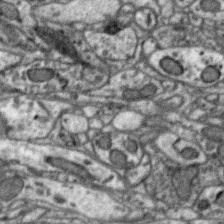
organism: Zebra finch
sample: Brain